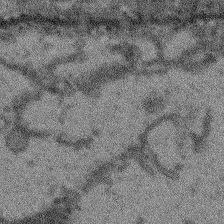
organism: Arabidopsis thaliana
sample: Root tip